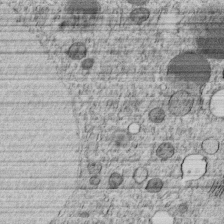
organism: C. elegans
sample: C. elegans embryo early stage